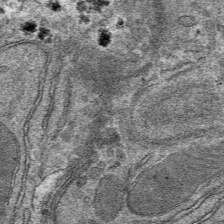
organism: Mouse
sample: Mouse hepatocytes